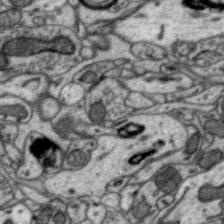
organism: Zebra finch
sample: Brain